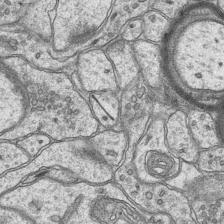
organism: Mouse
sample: CA1 Hippocampus